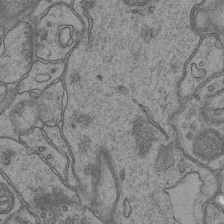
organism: Mouse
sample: CA1 Hippocampus